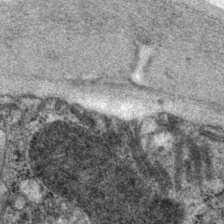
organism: P. pacificus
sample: Pharynx